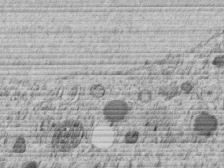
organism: C. elegans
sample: C. elegans embryo early stage